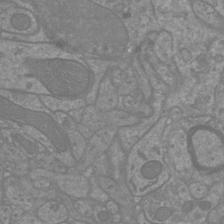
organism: Mouse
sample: Cortical neurons